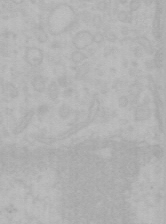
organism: Mouse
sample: Choroid plexus